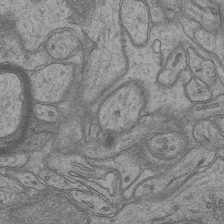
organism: Mouse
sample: CA1 Hippocampus